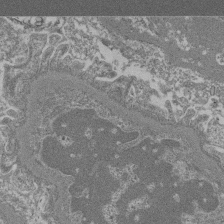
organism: Mouse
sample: Glomerulus